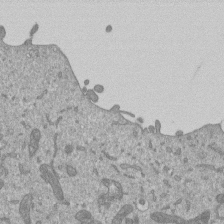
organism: Mouse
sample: ED-1 cell nuclei; centrioles